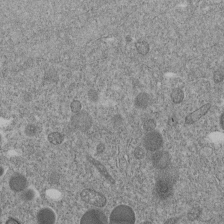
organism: C. elegans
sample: C. elegans embryo early stage